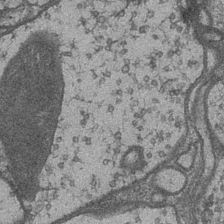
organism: Drosophila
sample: Optic medulla